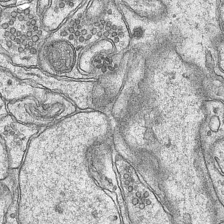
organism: Mouse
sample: CA1 Hippocampus